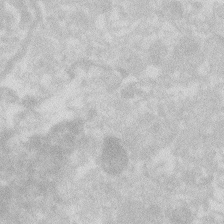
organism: Zebrafish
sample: Macrophage